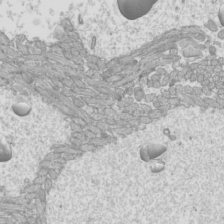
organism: Mouse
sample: Cilia; mouse epididymis